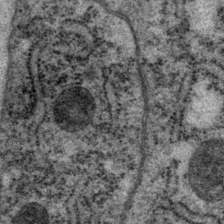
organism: P. pacificus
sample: Pharynx